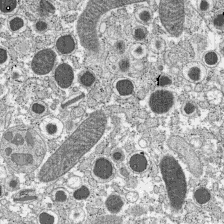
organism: C57BL Mouse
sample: Pancreatic islet